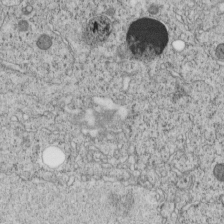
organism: C. elegans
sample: C. elegans embryo early stage